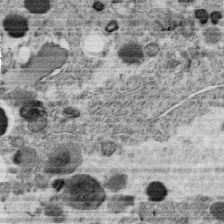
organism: C. elegans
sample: C. elegans oocyte; sperm cells